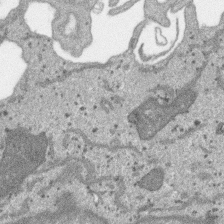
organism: Human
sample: Lung epithelial cells infected with SARS-CoV-2